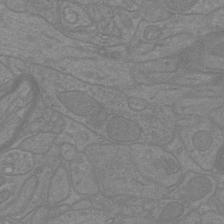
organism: Mouse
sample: Cortical neurons